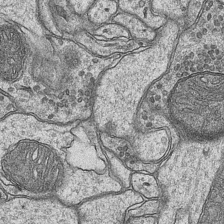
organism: Mouse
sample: CA1 Hippocampus